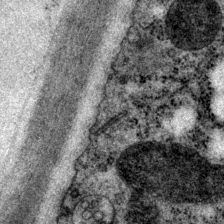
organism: P. pacificus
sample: Pharynx